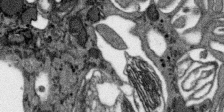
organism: Human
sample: Lung epithelial cells, uninfected (mock) control